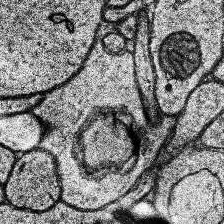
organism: Human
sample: Temporal Lobe